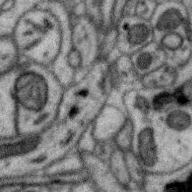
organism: Zebra finch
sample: Brain